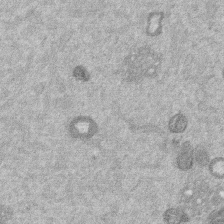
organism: Mouse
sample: Dividing mouse embryo 1 cell stage